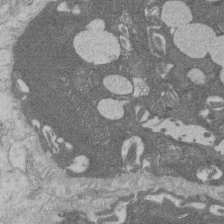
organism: Rat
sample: Salivary granule